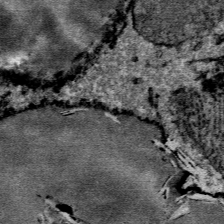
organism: Mouse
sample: Mouse Salivary gland